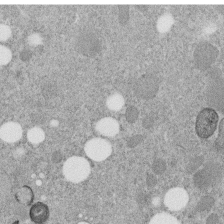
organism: C. elegans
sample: C. elegans embryo early stage